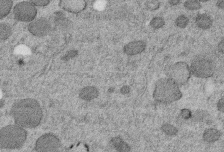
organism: C. elegans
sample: C. elegans embryo early stage